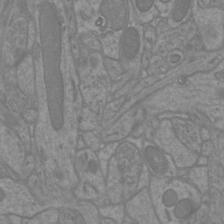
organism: Mouse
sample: Cortical neurons